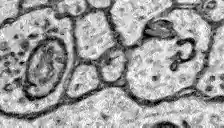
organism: Zebrafish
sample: Brain